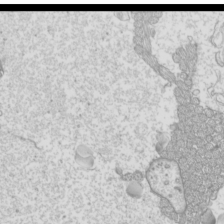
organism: Mouse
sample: Cilia; mouse epididymis